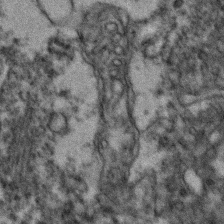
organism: Zebrafish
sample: Zebrafish embryo